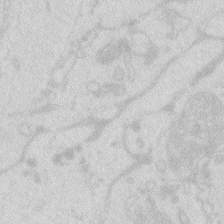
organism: Zebrafish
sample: Macrophage